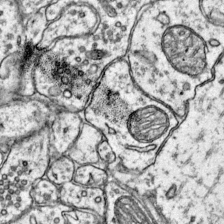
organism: Mouse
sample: Primary visual cortex